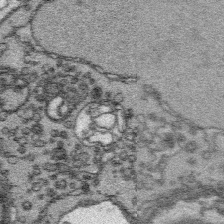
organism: Platynereis dumerilii